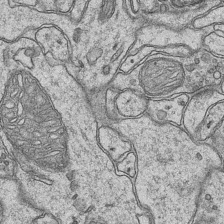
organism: Mouse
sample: CA1 Hippocampus